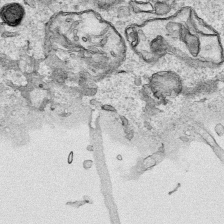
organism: Human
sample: Mitochondria in HCT116 cells